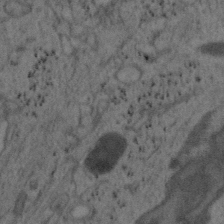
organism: Human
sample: HeLa cells